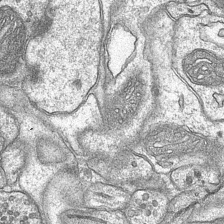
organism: Mouse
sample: CA1 Hippocampus